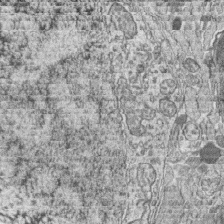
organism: Zebrafish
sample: synaptic ribbons in rod cells and cone cells